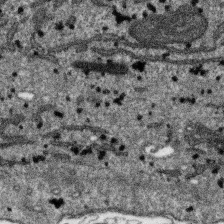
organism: Human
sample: Lung epithelial cells infected with SARS-CoV-2